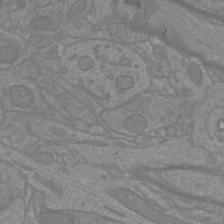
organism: Mouse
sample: Cortical neurons